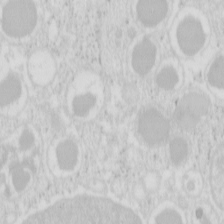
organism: Mouse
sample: Pancreas